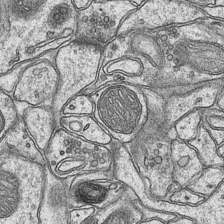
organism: Mouse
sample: CA1 Hippocampus